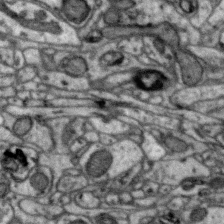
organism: Zebra finch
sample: Brain